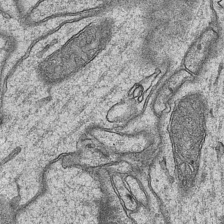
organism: Mouse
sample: CA1 Hippocampus